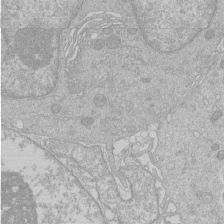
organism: Human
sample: Macrophage cells